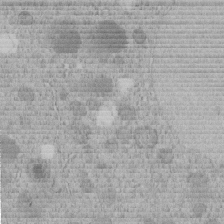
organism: C. elegans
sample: C. elegans embryo early stage